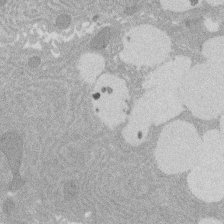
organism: Rat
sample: Salivary granule